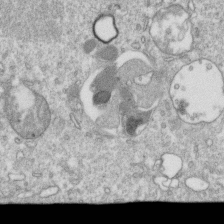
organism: Mouse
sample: Activated OT-1 CD8+ T cells